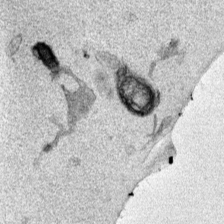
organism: Mouse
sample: Cancer cell death in ED-1 cells